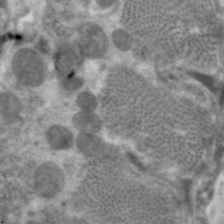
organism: C. elegans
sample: Pharynx